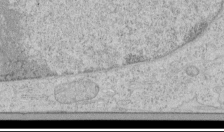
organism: Human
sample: Mitochondria in HCT116 cells